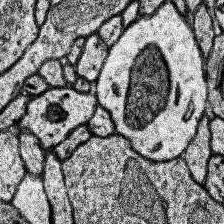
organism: Human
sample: Temporal Lobe